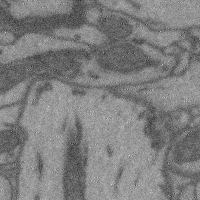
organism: Mouse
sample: Cerebral cortex